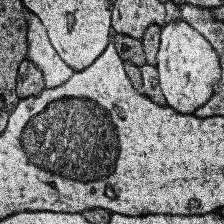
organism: Human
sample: Temporal Lobe